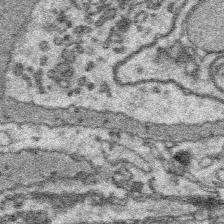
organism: Platynereis dumerilii